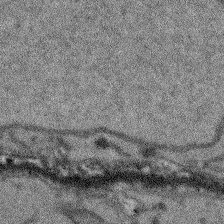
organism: Arabidopsis thaliana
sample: Root tip